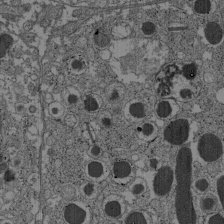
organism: C57BL Mouse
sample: Pancreatic islet